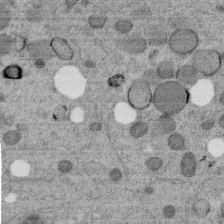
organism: C. elegans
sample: C. elegans embryo early stage